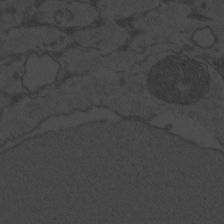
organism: Zebrafish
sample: Macrophage infected with Toxoplasma gondii